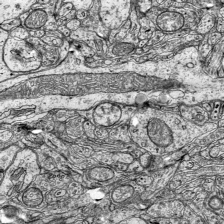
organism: Mouse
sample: Visual Cortex